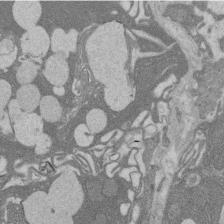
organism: Rat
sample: Salivary granule